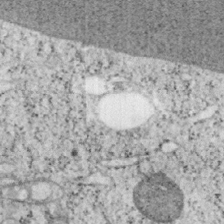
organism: Mouse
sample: OT-I killer T cells with ID8 ovarian cancer cells